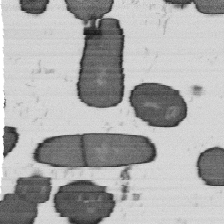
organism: B. subtilis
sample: Bacterial spore